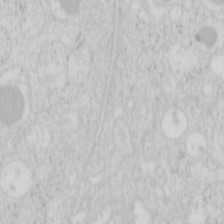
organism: Mouse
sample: Pancreas